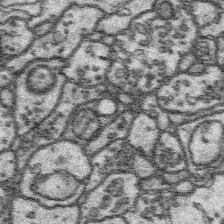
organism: Platynereis dumerilii